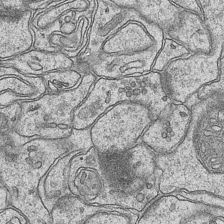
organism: Mouse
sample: CA1 Hippocampus